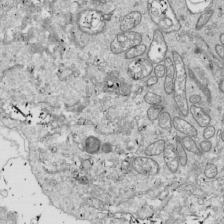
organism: Drosophila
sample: Cell division; meiosis; drosophila spermatocytes